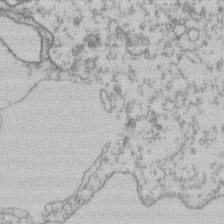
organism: Mouse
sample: T cell stromal cell synapse